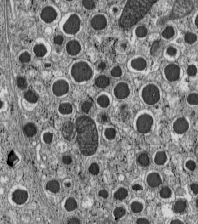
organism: C57BL Mouse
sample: Pancreatic islet